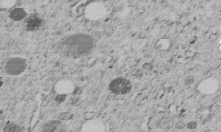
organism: C. elegans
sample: C. elegans embryo early stage